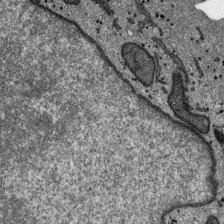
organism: Human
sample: Lung epithelial cells, uninfected (mock) control